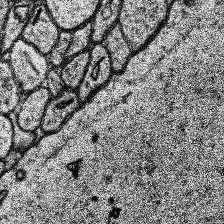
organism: Human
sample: Temporal Lobe